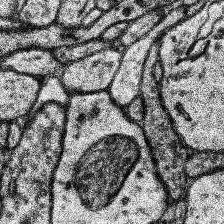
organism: Human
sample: Temporal Lobe